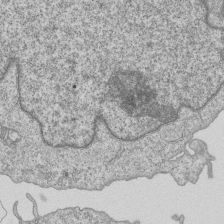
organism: Human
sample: MDA-MB-231 cells